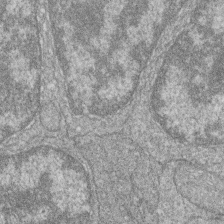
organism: Zebrafish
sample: Cilia; retinal pigment epithelium